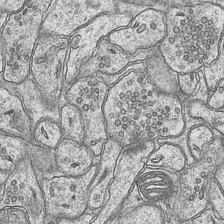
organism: Mouse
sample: CA1 Hippocampus